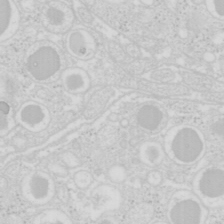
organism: Mouse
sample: Pancreas